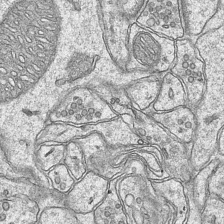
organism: Mouse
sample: CA1 Hippocampus